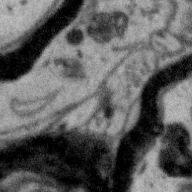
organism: Zebra finch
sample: Brain